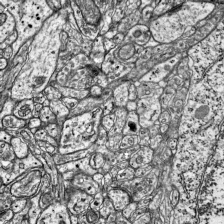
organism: Mouse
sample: Visual Cortex